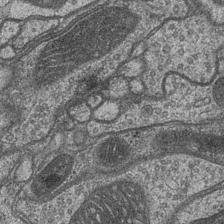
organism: Drosophila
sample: Optic medulla